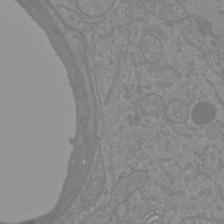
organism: Mouse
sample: Cortical neurons